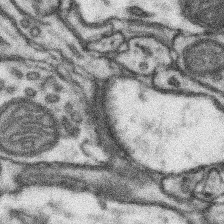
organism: Mouse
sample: Somatosensory cortex neuropil